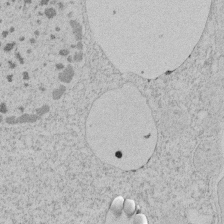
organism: Tetrahymena